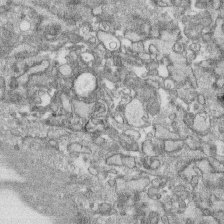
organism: Human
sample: CRL-1474